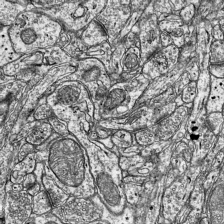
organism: Mouse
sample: Visual Cortex